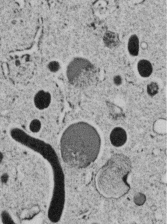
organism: C. elegans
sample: C. elegans embryo early stage